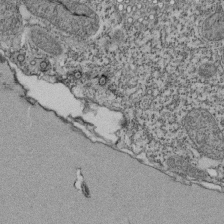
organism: Tetrahymena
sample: Cilia in tetrahymena